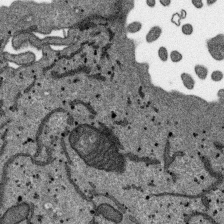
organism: Human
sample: Lung epithelial cells, uninfected (mock) control